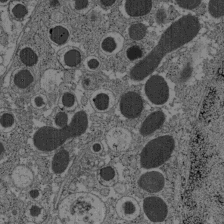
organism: C57BL Mouse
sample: Pancreatic islet